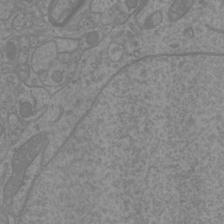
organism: Mouse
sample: Cortical neurons